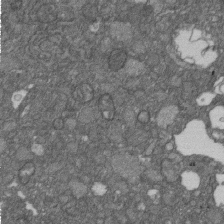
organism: Drosophila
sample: Nephrocyte